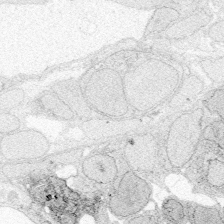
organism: Zebrafish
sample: Whole-Brain